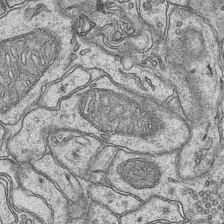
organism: Mouse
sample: CA1 Hippocampus